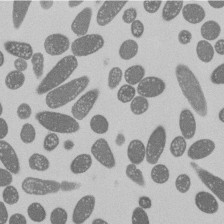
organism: E. coli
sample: Bacterial nucleoid